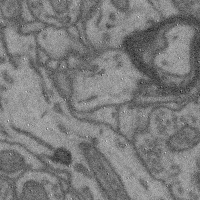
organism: Mouse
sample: Cerebral cortex